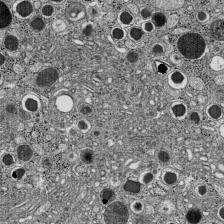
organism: C57BL Mouse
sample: Pancreatic islet